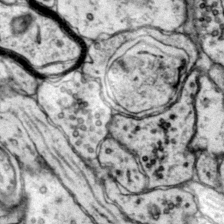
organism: Mouse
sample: Primary visual cortex